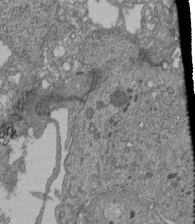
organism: Human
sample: Retinal organoid Rod and Cone cells